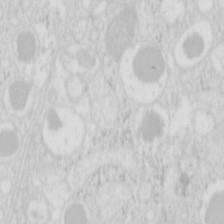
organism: Mouse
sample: Pancreas